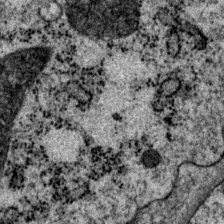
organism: P. pacificus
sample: Pharynx